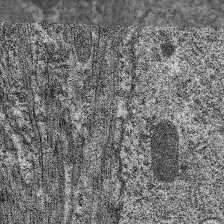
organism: C. elegans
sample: Pharynx